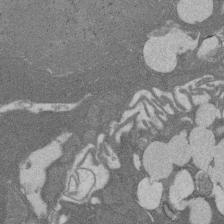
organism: Rat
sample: Salivary granule